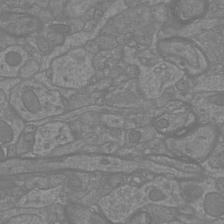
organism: Mouse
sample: Cortical neurons